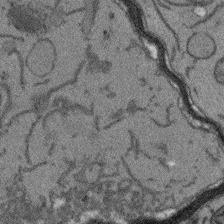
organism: Arabidopsis thaliana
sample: Root tip